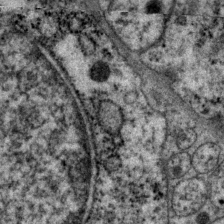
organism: P. pacificus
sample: Pharynx